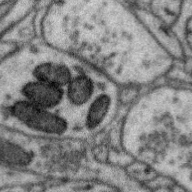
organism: Zebra finch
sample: Brain